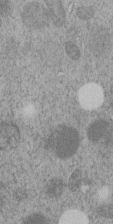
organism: C. elegans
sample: C. elegans embryo early stage